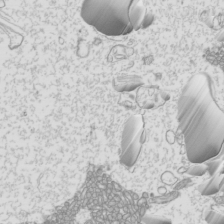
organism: Mouse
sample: Cilia; mouse epididymis